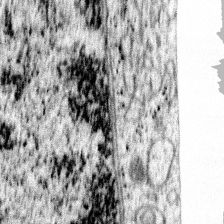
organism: Human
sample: HeLa cells